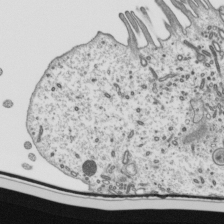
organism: Mouse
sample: Mouse epididymis efferent ductule cilia